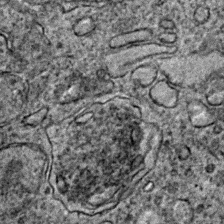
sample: Trachea